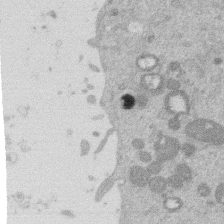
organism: Mouse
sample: Dividing mouse embryo 1 cell stage